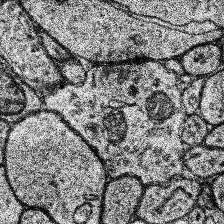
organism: Human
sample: Temporal Lobe